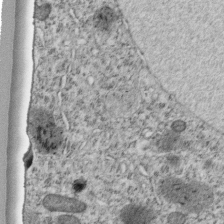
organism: C. elegans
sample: C. elegans embryo early stage